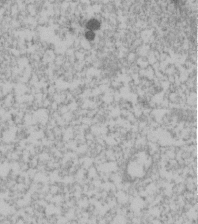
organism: Human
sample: U2-OS cells